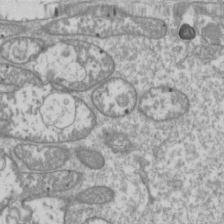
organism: Drosophila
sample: Cell division; meiosis; drosophila spermatocytes